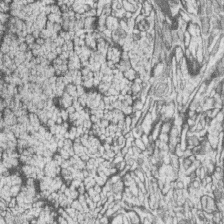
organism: Zebrafish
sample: synaptic ribbons in rod cells and cone cells